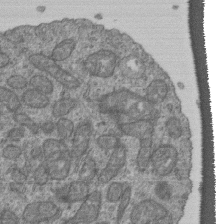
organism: Human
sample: Retinal organoid Rod and Cone cells